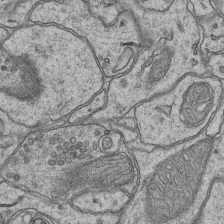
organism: Mouse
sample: CA1 Hippocampus